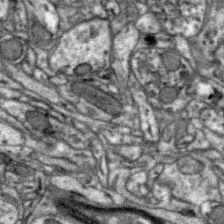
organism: Zebra finch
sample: Brain